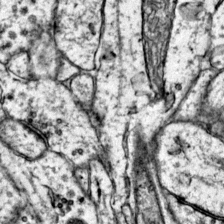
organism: Mouse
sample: Primary visual cortex